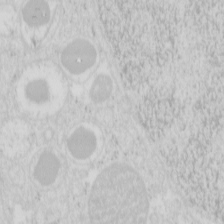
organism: Mouse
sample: Pancreas